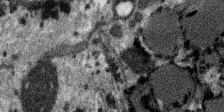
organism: Human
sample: Lung epithelial cells infected with SARS-CoV-2